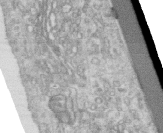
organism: Human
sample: Centriole in RPE cells